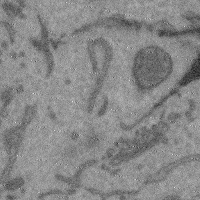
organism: Mouse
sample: Cerebral cortex